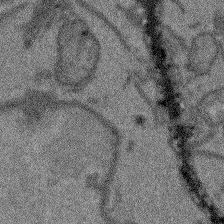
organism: Arabidopsis thaliana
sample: Root tip